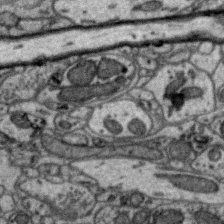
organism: Zebra finch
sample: Brain